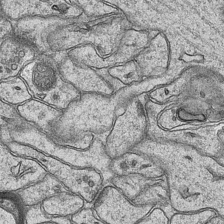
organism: Mouse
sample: CA1 Hippocampus